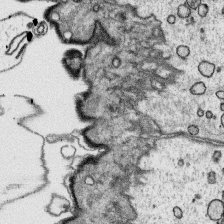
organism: Platynereis dumerilii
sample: Parapodia